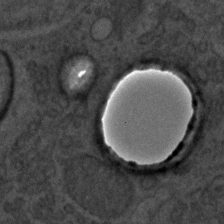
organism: C. elegans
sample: C. elegans embryo